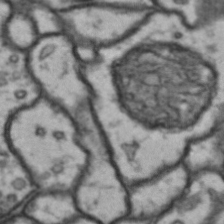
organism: Drosophila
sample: Brain